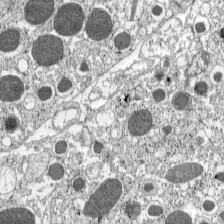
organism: C57BL Mouse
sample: Pancreatic islet